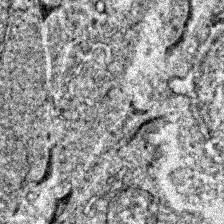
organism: Zebrafish